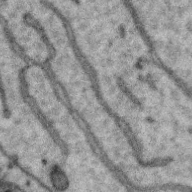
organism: Zebra finch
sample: Brain